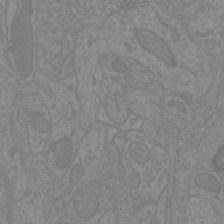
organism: Mouse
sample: Cortical neurons